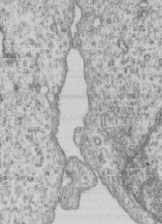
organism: Human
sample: MDA-MB-231 cells